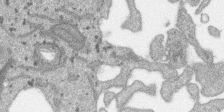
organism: Human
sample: Lung epithelial cells infected with SARS-CoV-2